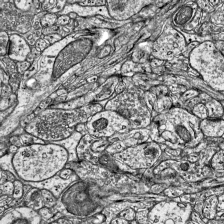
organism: Mouse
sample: Visual Cortex